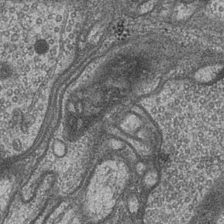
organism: Drosophila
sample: Optic medulla